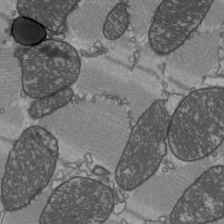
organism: C57BL Mouse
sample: Heart